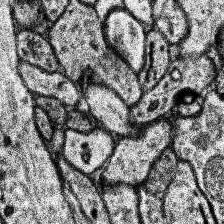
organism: Human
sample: Temporal Lobe